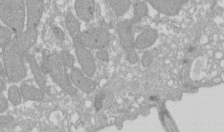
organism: Xenopus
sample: Cilia; centrioles in frog embryo cells